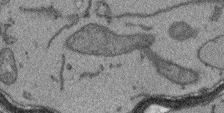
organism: Arabidopsis thaliana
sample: Root tip